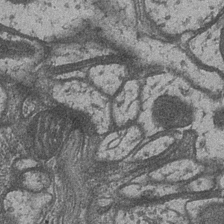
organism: Drosophila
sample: Optic medulla